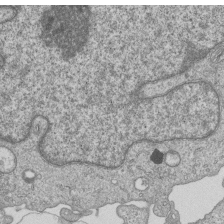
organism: Human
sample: MDA-MB-231 cells